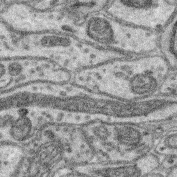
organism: Mouse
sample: Retina